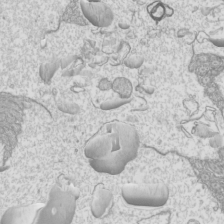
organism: Mouse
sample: Cilia; mouse epididymis